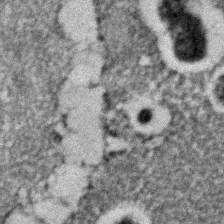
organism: C. elegans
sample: C. elegans embryo